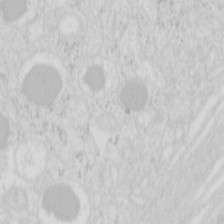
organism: Mouse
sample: Pancreas